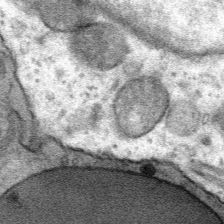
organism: Mouse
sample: Mouse Salivary gland